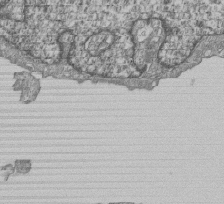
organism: Human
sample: MDA-MB-231 cells